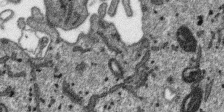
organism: Human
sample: Lung epithelial cells infected with SARS-CoV-2